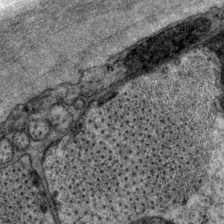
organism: P. pacificus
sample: Pharynx